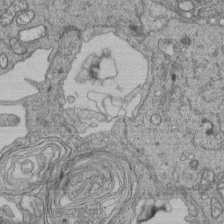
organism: Human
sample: Retinal organoid Rod and Cone cells